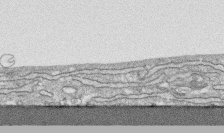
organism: Human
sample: CRL-1474